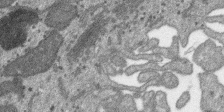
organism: Human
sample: Lung epithelial cells infected with SARS-CoV-2